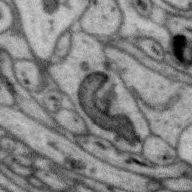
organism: Zebra finch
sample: Brain